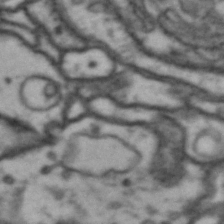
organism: Drosophila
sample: Brain